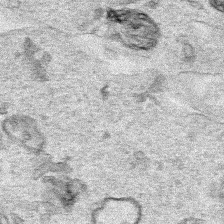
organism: Human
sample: Mitochondria in HCT116 cells